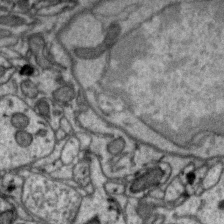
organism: Zebra finch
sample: Brain